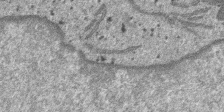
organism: Human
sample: Lung epithelial cells infected with SARS-CoV-2